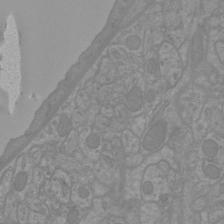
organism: Mouse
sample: Cortical neurons